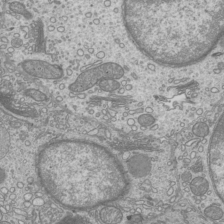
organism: Mouse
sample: Cilia; mouse epididymis